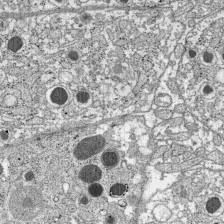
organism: C57BL Mouse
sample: Pancreatic islet